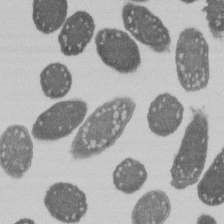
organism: E. coli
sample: Bacterial nucleoid